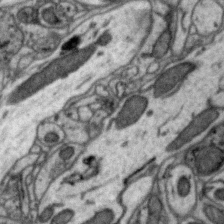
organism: Zebra finch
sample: Brain